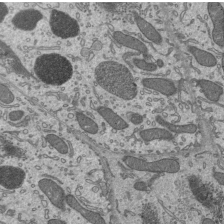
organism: Mouse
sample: Mouse epididymis efferent ductule cilia